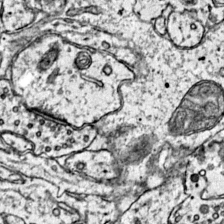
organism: Mouse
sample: Primary visual cortex